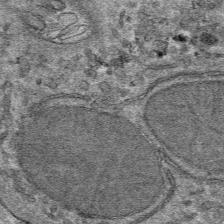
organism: Mouse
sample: Mouse hepatocytes